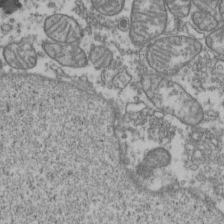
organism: Human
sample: Activated Jurkat CD4+ T cells